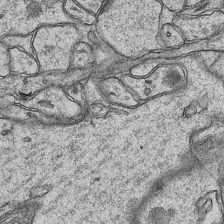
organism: Mouse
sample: CA1 Hippocampus